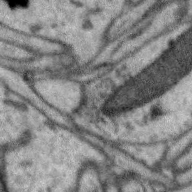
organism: Zebra finch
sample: Brain